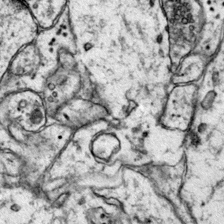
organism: Mouse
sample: Primary visual cortex